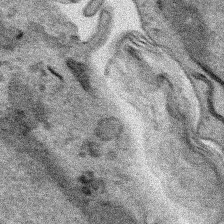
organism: Human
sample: Mitochondria in HCT116 cells